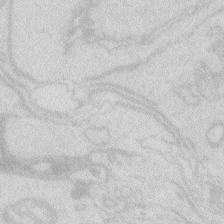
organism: Zebrafish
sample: Macrophage